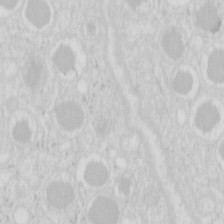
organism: Mouse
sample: Pancreas